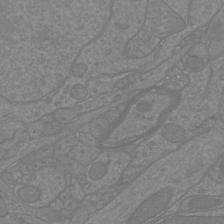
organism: Mouse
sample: Cortical neurons